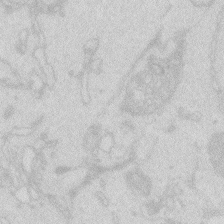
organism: Zebrafish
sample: Macrophage